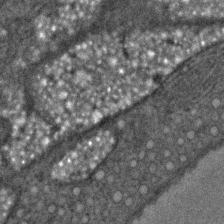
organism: C. elegans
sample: C. elegans embryo